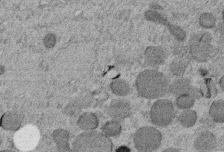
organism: C. elegans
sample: C. elegans embryo early stage